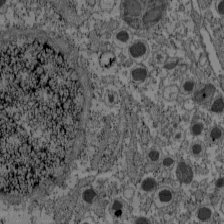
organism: C57BL Mouse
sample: Pancreatic islet